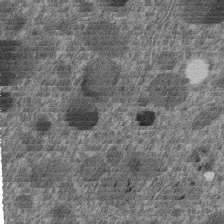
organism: C. elegans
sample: C. elegans embryo early stage